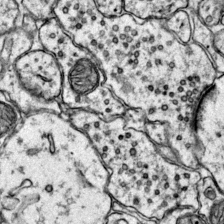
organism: Mouse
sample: Primary visual cortex